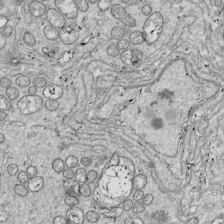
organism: Drosophila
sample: Cell division; meiosis; drosophila spermatocytes